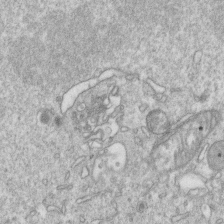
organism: Mouse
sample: Activated OT-1 CD8+ T cells